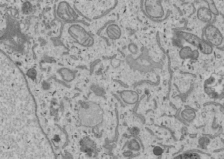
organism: Human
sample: Mitochondria in U2OS cells